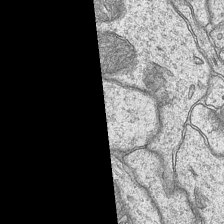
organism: Mouse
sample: CA1 Hippocampus